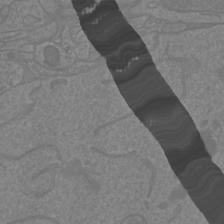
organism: Mouse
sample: Cortical neurons